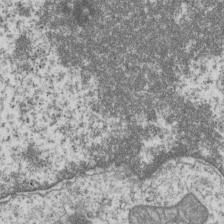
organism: Human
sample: MDA-MB-231 cells